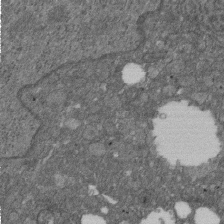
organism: Drosophila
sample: Nephrocyte